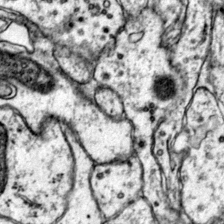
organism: Mouse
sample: Primary visual cortex